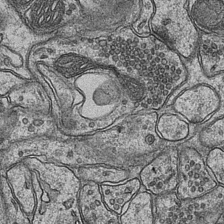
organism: Mouse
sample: CA1 Hippocampus